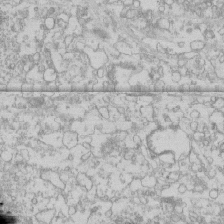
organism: Human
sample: CRL-1474